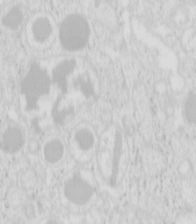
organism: Mouse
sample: Pancreas